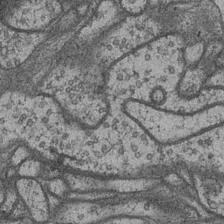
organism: Drosophila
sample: Optic medulla